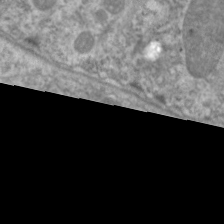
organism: C. elegans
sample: Pharynx